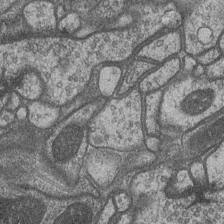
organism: Drosophila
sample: Optic medulla